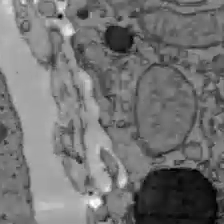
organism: C57BL Mouse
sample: Liver